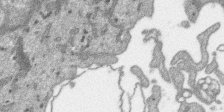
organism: Human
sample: Lung epithelial cells infected with SARS-CoV-2